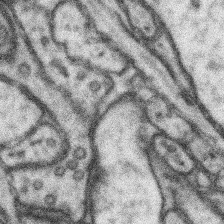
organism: Mouse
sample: Somatosensory cortex neuropil